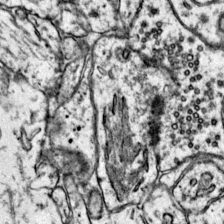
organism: Mouse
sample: Primary visual cortex